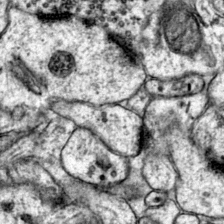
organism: Mouse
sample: Primary visual cortex